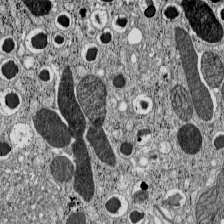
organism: C57BL Mouse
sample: Pancreatic islet